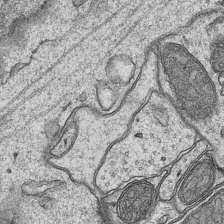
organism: Mouse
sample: CA1 Hippocampus